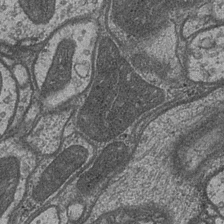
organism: Drosophila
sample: Optic medulla